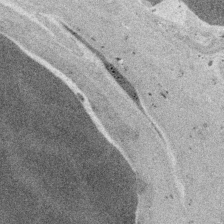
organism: Embia sp.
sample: Silk gland